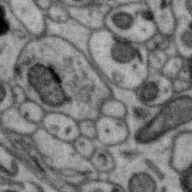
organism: Zebra finch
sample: Brain